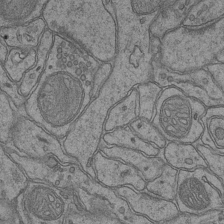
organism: Mouse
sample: CA1 Hippocampus